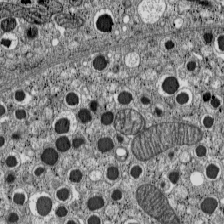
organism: C57BL Mouse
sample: Pancreatic islet